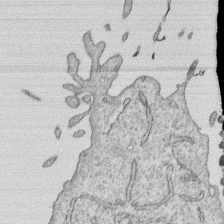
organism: Human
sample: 1205lu cells